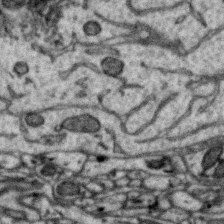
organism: Zebra finch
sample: Brain